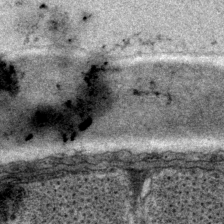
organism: P. pacificus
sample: Pharynx